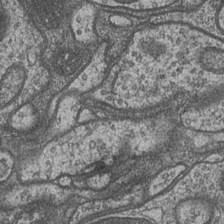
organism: Drosophila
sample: Optic medulla